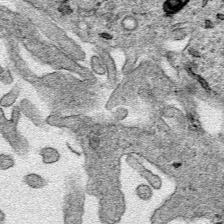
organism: Human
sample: Mitochondria in HCT116 cells